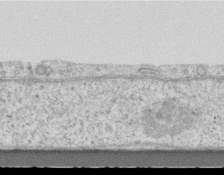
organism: Mouse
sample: Centriole in ependymal cells